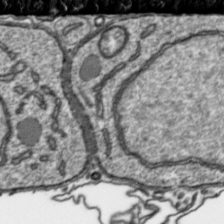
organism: Toxoplasma gondii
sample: Parasites in a vacuole inside a host cell